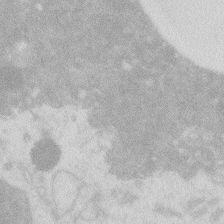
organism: Zebrafish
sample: Macrophage